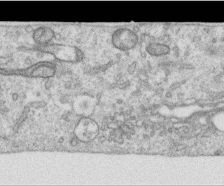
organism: Human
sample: Centriole in RPE cells